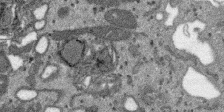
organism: Human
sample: Lung epithelial cells infected with SARS-CoV-2